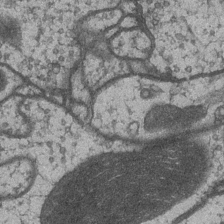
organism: Drosophila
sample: Optic medulla